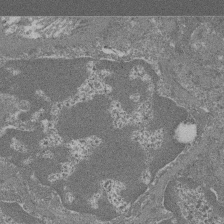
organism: Mouse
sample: Glomerulus